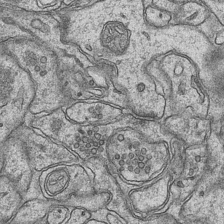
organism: Mouse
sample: CA1 Hippocampus